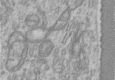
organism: Human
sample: Centriole in RPE cells